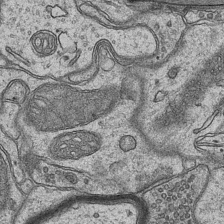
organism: Mouse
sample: CA1 Hippocampus